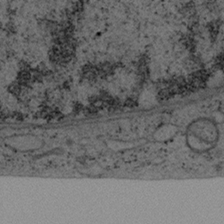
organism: Human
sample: HeLa cells